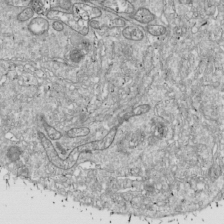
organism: Drosophila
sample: Cell division; meiosis; drosophila spermatocytes